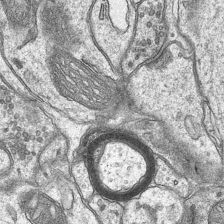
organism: Mouse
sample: CA1 Hippocampus